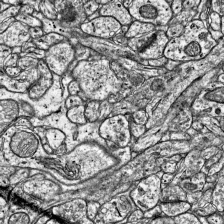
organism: Mouse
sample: Visual Cortex